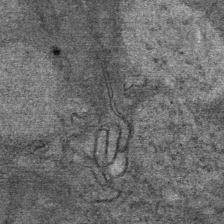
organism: Mouse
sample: Mouse Salivary gland